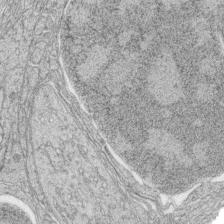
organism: Zebrafish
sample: synaptic ribbons in rod cells and cone cells